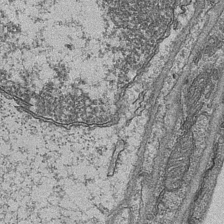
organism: Mouse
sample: CA1 Hippocampus